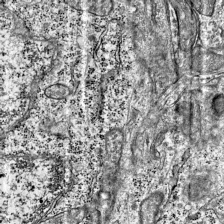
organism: Mouse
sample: Visual Cortex